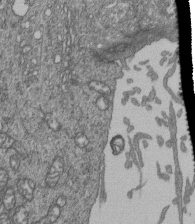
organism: Human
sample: Retinal organoid Rod and Cone cells